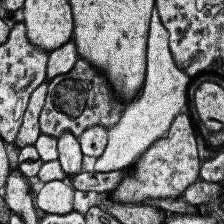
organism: Human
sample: Temporal Lobe